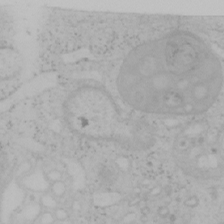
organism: Mouse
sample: OT-I killer T cells with ID8 ovarian cancer cells